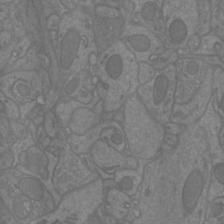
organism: Mouse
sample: Cortical neurons